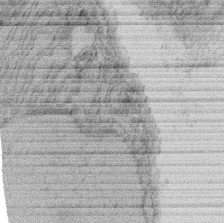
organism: Rat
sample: Salivary granule